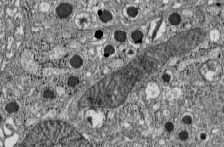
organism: C57BL Mouse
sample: Pancreatic islet